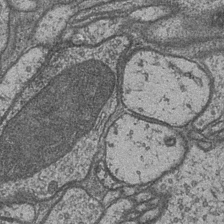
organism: Drosophila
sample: Optic medulla